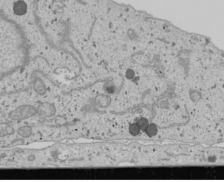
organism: Human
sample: Mitochondria in U2OS cells